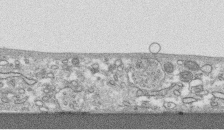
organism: Human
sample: CRL-1474